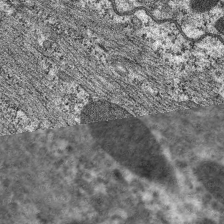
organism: C. elegans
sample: Pharynx